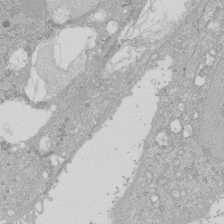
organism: Human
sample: Caco-2 cells